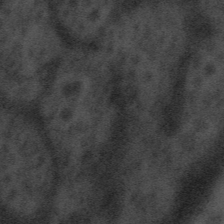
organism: Tuwongella immobilis